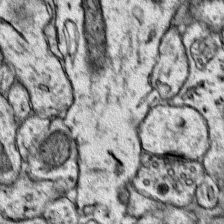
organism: Mouse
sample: Primary visual cortex